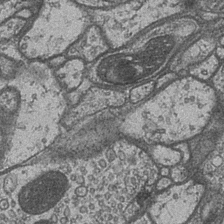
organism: Drosophila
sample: Optic medulla